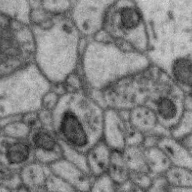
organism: Zebra finch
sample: Brain